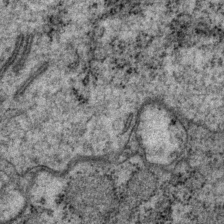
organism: P. pacificus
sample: Pharynx